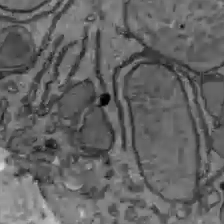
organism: C57BL Mouse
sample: Liver